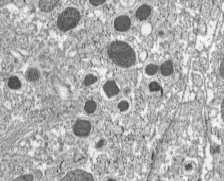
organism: C57BL Mouse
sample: Pancreatic islet